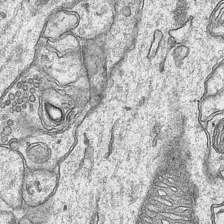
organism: Mouse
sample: CA1 Hippocampus